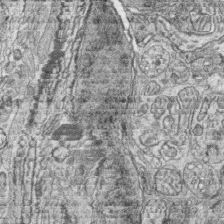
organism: Zebrafish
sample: synaptic ribbons in rod cells and cone cells